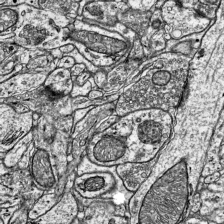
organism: Mouse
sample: Visual Cortex